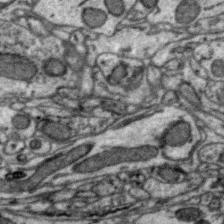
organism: Zebra finch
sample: Brain